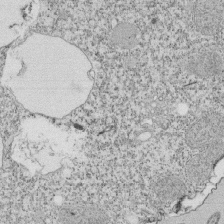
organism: Tetrahymena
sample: Cilia in tetrahymena